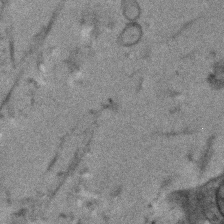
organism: Human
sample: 1205lu cells